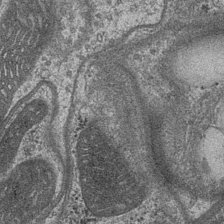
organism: Drosophila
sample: Optic medulla